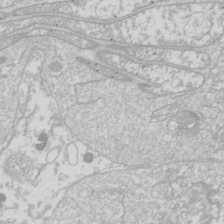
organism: Drosophila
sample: Cell division; meiosis; drosophila spermatocytes